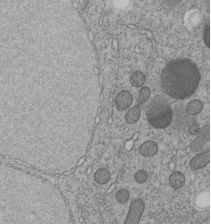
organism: C. elegans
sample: C. elegans embryo early stage